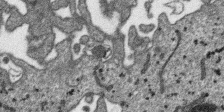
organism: Human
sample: Lung epithelial cells infected with SARS-CoV-2